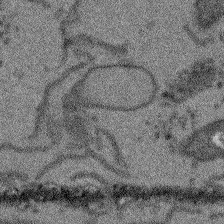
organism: Arabidopsis thaliana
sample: Root tip